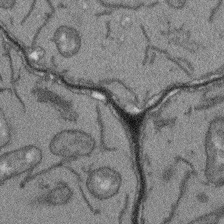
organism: Arabidopsis thaliana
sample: Root tip